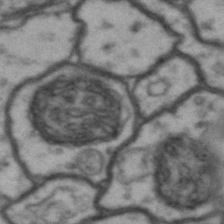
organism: Drosophila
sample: Brain